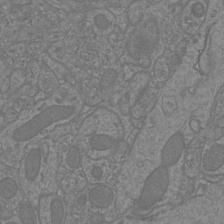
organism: Mouse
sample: Cortical neurons